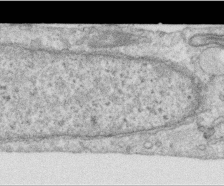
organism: Human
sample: Centriole in RPE cells